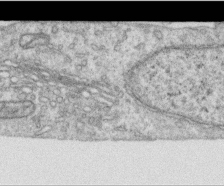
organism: Human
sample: Centriole in RPE cells